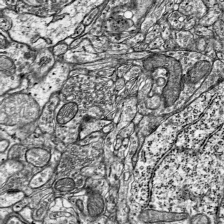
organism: Mouse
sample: Visual Cortex